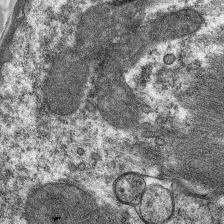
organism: C. elegans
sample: Pharynx